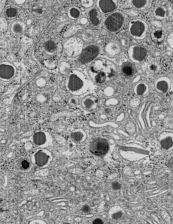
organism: C57BL Mouse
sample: Pancreatic islet